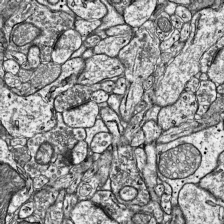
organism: Mouse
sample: Visual Cortex